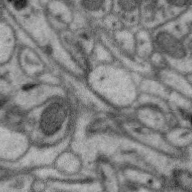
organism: Zebra finch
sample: Brain